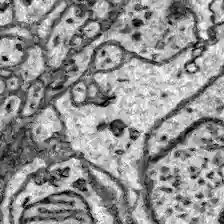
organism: Zebrafish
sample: Brain